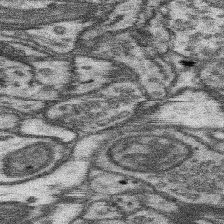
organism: Mouse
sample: Somatosensory cortex neuropil